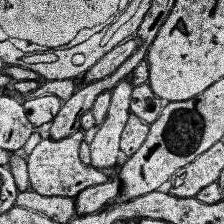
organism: Human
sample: Temporal Lobe